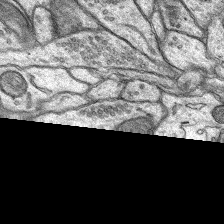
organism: Rat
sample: Hippocampus